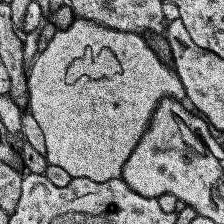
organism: Human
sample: Temporal Lobe